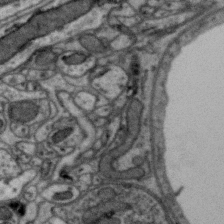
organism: Zebra finch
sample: Brain